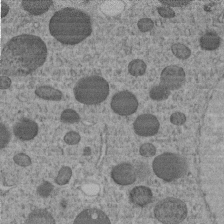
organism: C. elegans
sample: C. elegans embryo early stage